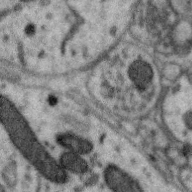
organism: Zebra finch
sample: Brain